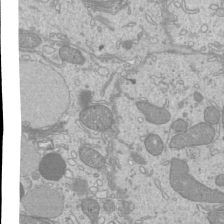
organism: Mouse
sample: Cilia; mouse epididymis